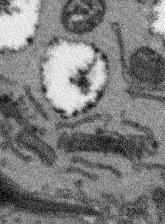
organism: Arabidopsis thaliana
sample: Root tip